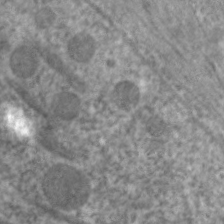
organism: C. elegans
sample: Pharynx